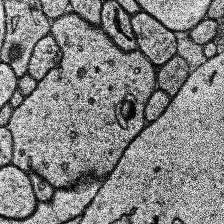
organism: Human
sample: Temporal Lobe